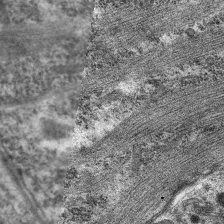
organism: C. elegans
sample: Pharynx